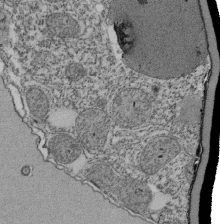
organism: Tetrahymena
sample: Cilia in tetrahymena